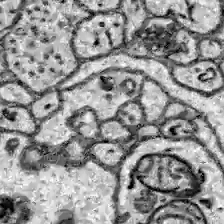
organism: Zebrafish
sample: Brain